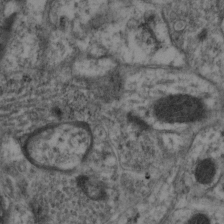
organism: Mouse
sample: Neocortex